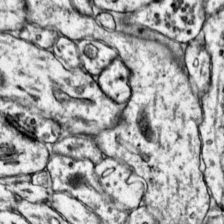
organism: Mouse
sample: Primary visual cortex